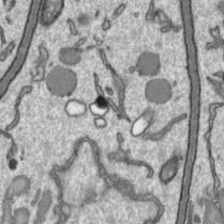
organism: Toxoplasma gondii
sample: Parasites in a vacuole inside a host cell